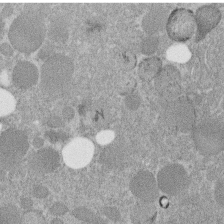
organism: C. elegans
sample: C. elegans embryo early stage